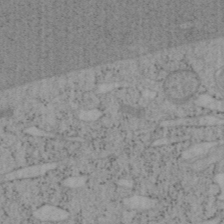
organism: Mouse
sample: OT-I killer T cells with ID8 ovarian cancer cells